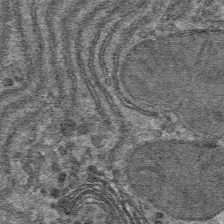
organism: Mouse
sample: Mouse hepatocytes